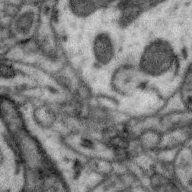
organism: Zebra finch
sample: Brain